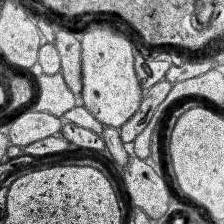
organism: Human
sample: Temporal Lobe